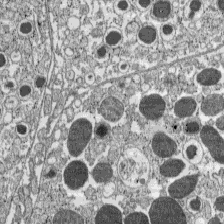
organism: C57BL Mouse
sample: Pancreatic islet